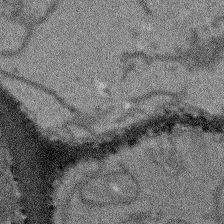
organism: Arabidopsis thaliana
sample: Root tip